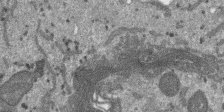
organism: Human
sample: Lung epithelial cells infected with SARS-CoV-2